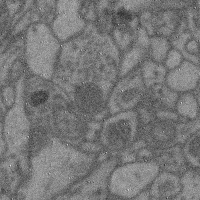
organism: Mouse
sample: Cerebral cortex